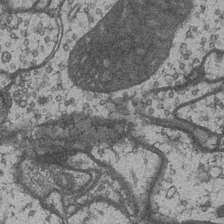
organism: Drosophila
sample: Optic medulla